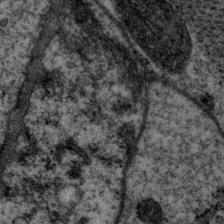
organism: P. pacificus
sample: Pharynx